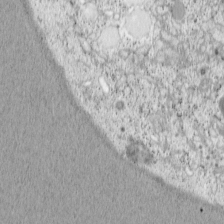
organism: African green monkey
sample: COS-7 cells